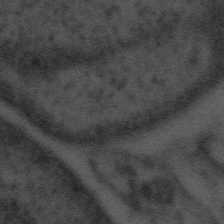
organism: Tuwongella immobilis